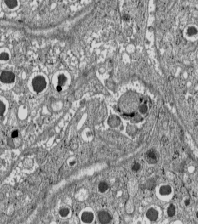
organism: C57BL Mouse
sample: Pancreatic islet